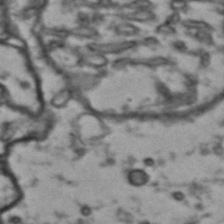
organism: Drosophila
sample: Brain